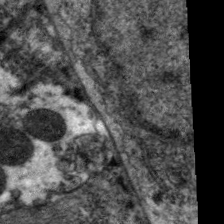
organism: C. elegans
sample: Pharynx